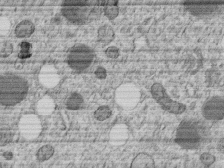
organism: C. elegans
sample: C. elegans embryo early stage